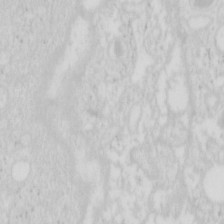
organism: Mouse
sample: Pancreas